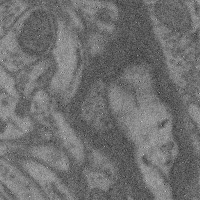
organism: Mouse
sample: Cerebral cortex